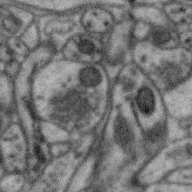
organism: Zebra finch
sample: Brain